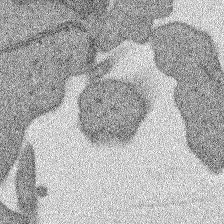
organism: Human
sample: HeLa cells